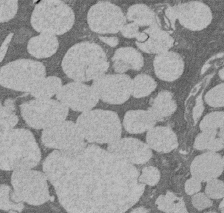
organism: Rat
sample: Salivary granule